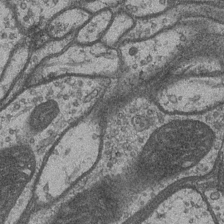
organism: Drosophila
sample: Optic medulla